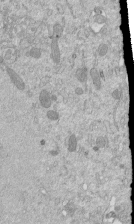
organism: Mouse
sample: ED-1 cell nuclei; centrioles